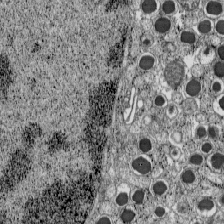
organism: C57BL Mouse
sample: Pancreatic islet